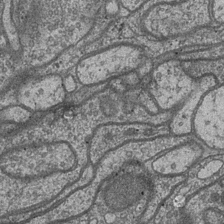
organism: Drosophila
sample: Optic medulla